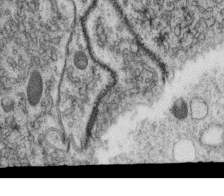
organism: C. elegans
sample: C. elegans oocyte; sperm cells